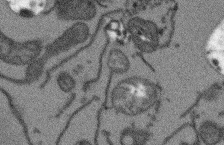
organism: Arabidopsis thaliana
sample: Root tip